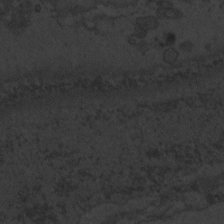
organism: Zebrafish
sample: Macrophage infected with Toxoplasma gondii